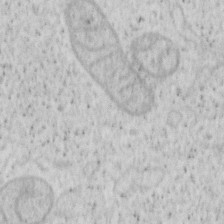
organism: Human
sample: HeLa cells